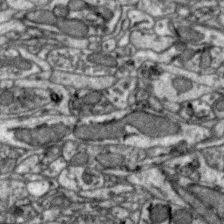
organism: Zebra finch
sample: Brain